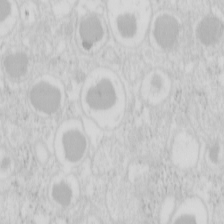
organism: Mouse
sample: Pancreas